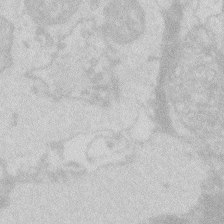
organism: Zebrafish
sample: Macrophage